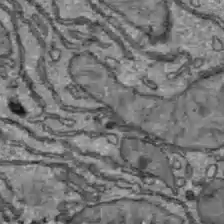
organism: C57BL Mouse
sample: Liver